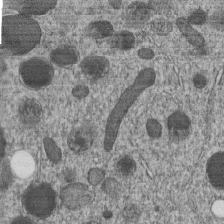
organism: C. elegans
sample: C. elegans embryo early stage